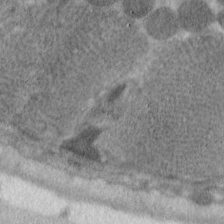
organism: C. elegans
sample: Pharynx